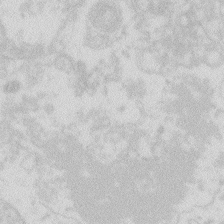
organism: Zebrafish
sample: Macrophage